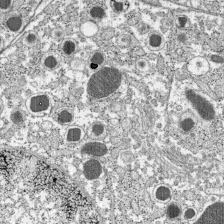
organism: C57BL Mouse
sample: Pancreatic islet